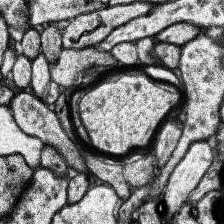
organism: Human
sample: Temporal Lobe